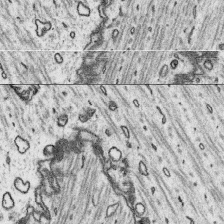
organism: Platynereis dumerilii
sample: Parapodia